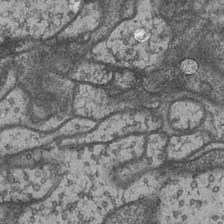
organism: Drosophila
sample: Optic medulla